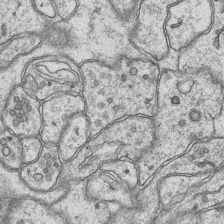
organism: Mouse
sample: CA1 Hippocampus